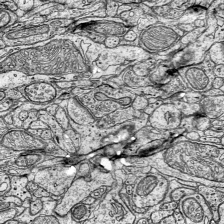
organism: Mouse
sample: Visual Cortex